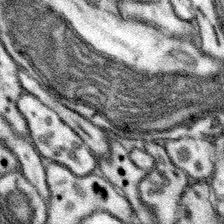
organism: Mouse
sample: Somatosensory cortex neuropil